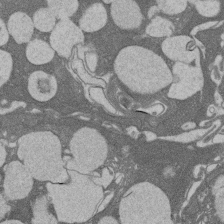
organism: Rat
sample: Salivary granule